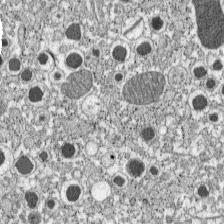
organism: C57BL Mouse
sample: Pancreatic islet